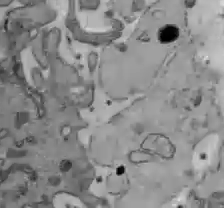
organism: C57BL Mouse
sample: Liver